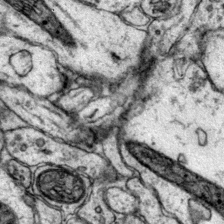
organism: Mouse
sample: Primary visual cortex